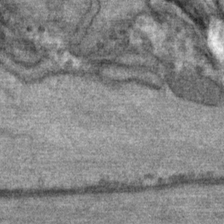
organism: Mouse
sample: Mouse Salivary gland